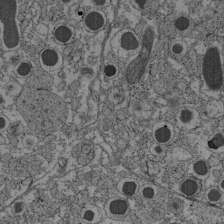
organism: C57BL Mouse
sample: Pancreatic islet